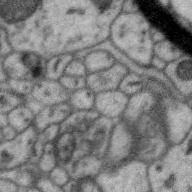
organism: Zebra finch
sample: Brain